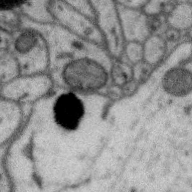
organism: Zebra finch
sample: Brain